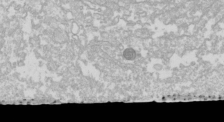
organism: Drosophila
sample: Cell division; meiosis; drosophila spermatocytes